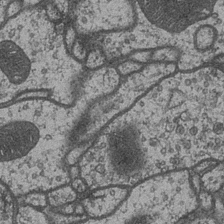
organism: Drosophila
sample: Optic medulla